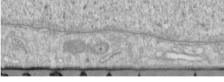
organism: Human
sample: Centriole in RPE cells